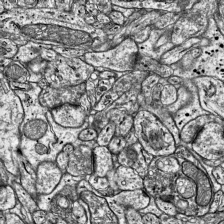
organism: Mouse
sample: Visual Cortex